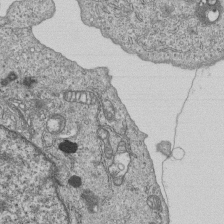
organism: Human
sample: MDA-MB-231 cells